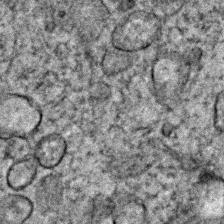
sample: Trachea